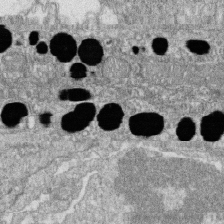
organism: Zebrafish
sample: Cilia; retinal pigment epithelium